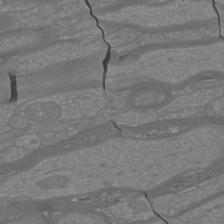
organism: Mouse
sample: Cortical neurons